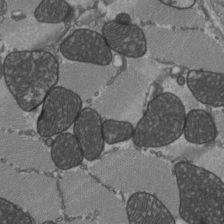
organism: C57BL Mouse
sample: Heart